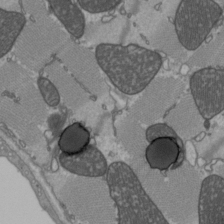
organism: C57BL Mouse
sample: Heart